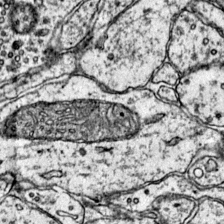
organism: Mouse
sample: Primary visual cortex